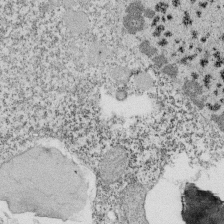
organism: Tetrahymena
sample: Cilia in tetrahymena